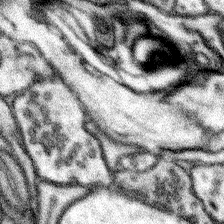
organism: Mouse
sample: Somatosensory cortex neuropil